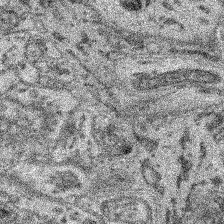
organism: Mouse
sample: Retina